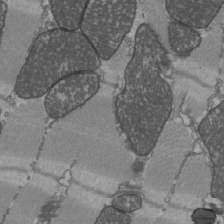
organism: C57BL Mouse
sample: Heart